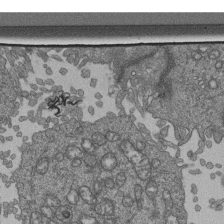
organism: Human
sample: Retinal organoid Rod and Cone cells